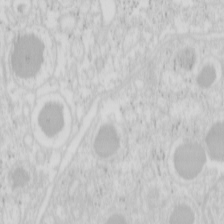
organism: Mouse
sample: Pancreas